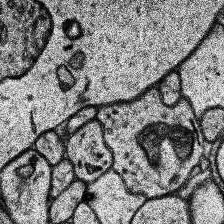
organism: Human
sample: Temporal Lobe